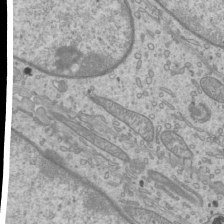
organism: Mouse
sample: Cilia; mouse epididymis